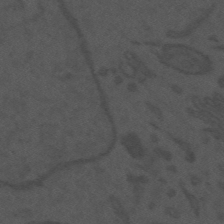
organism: Mouse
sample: Suprachiasmatic nucleus